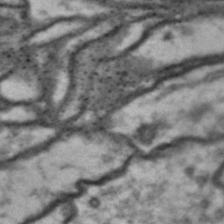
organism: Drosophila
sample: Brain